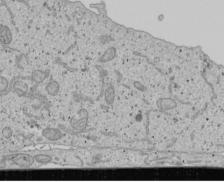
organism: Human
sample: Mitochondria in U2OS cells